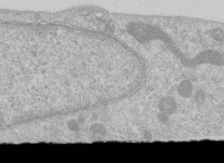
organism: Human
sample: Centriole in RPE cells